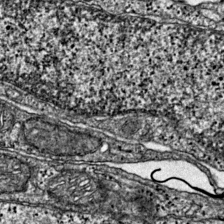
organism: Mouse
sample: Primary visual cortex